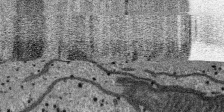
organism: Human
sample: Lung epithelial cells, uninfected (mock) control